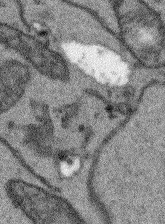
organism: Arabidopsis thaliana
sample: Root tip